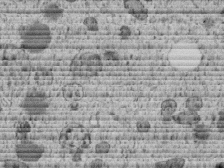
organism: C. elegans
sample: C. elegans embryo early stage